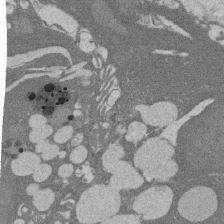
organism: Rat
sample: Salivary granule